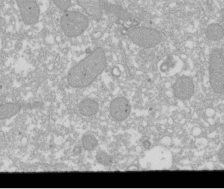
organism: Xenopus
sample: Cilia; centrioles in frog embryo cells